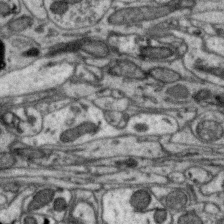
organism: Zebra finch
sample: Brain